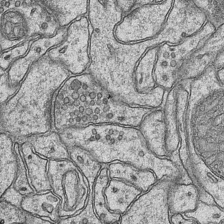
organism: Mouse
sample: CA1 Hippocampus